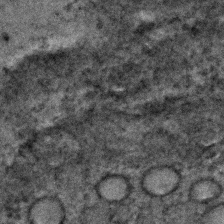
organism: C. elegans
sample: C. elegans embryo